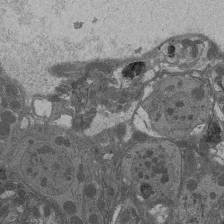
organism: Drosophila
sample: Antenna